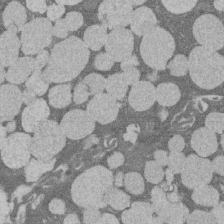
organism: Rat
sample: Salivary granule